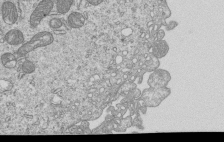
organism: Human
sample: MDA-MB-231 cells